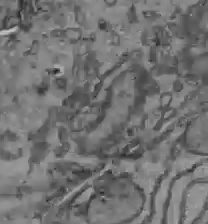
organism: C57BL Mouse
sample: Liver